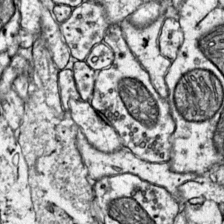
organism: Mouse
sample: Primary visual cortex